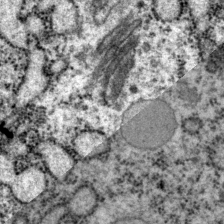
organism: P. pacificus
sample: Pharynx